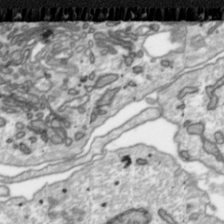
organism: Toxoplasma gondii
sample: Parasites in a vacuole inside a host cell